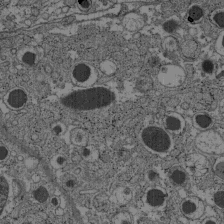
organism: C57BL Mouse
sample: Pancreatic islet